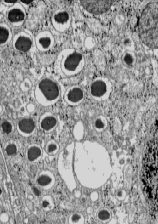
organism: C57BL Mouse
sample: Pancreatic islet